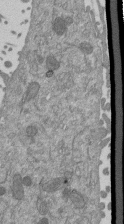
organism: Mouse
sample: ED-1 cell nuclei; centrioles